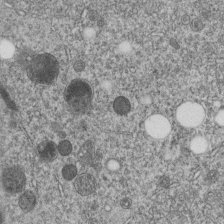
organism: C. elegans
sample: C. elegans embryo early stage